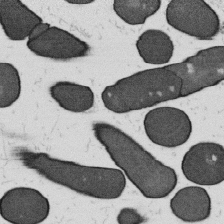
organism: B. subtilis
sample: Bacterial spore